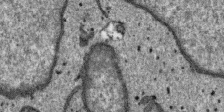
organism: Human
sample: Lung epithelial cells, uninfected (mock) control